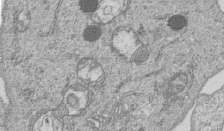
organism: Human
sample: MDA-MB-231 cells